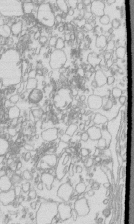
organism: Mouse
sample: Macrophages